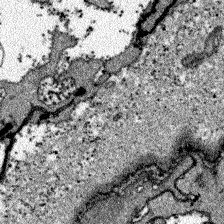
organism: Zebrafish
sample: Larval olfactory bulb